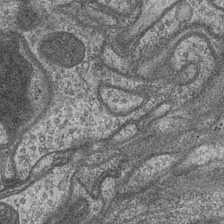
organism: Drosophila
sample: Optic medulla